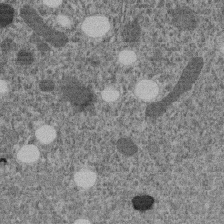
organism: C. elegans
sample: C. elegans embryo early stage